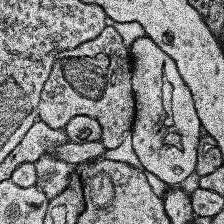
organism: Human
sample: Temporal Lobe